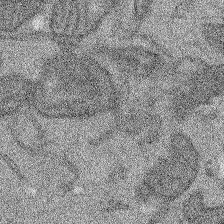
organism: Human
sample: HeLa cells